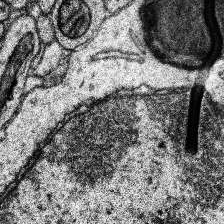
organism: Human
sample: Temporal Lobe